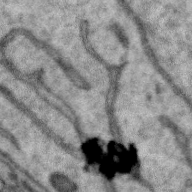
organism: Zebra finch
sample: Brain